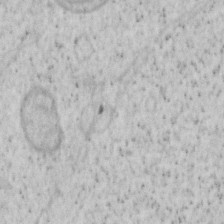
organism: Human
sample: HeLa cells